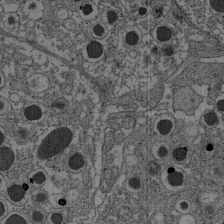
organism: C57BL Mouse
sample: Pancreatic islet